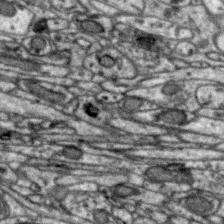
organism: Zebra finch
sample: Brain